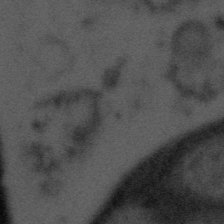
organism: Tuwongella immobilis